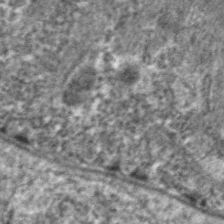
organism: C. elegans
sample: Pharynx